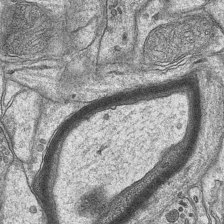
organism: Mouse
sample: CA1 Hippocampus